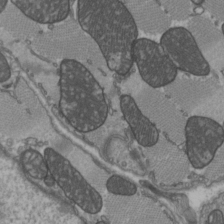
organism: C57BL Mouse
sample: Heart